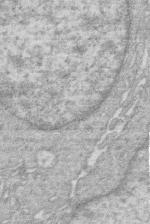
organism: Human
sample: Macrophage cells